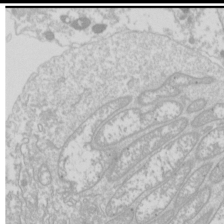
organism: Drosophila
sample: Cell division; meiosis; drosophila spermatocytes